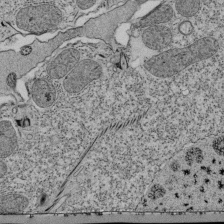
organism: Tetrahymena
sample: Cilia in tetrahymena